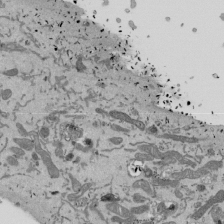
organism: Mouse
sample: ED-1 cell nuclei; centrioles